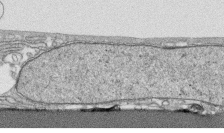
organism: Human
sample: CRL-1474